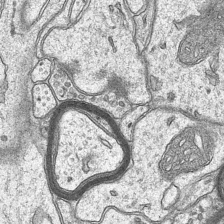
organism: Mouse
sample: CA1 Hippocampus